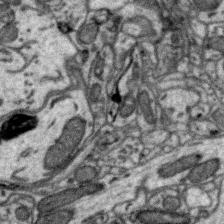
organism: Zebra finch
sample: Brain